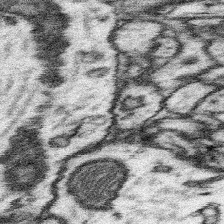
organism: Mouse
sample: Somatosensory cortex neuropil